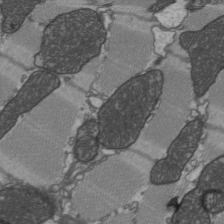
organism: C57BL Mouse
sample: Heart